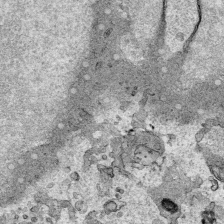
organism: Human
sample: Mitochondria in HCT116 cells